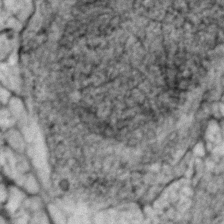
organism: Zebrafish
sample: Zebrafish embryo